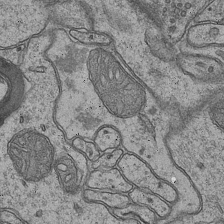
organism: Mouse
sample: CA1 Hippocampus